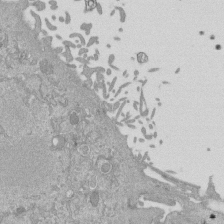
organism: Mouse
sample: ED-1 cell nuclei; centrioles